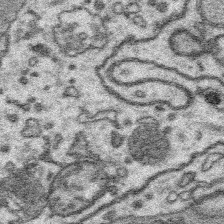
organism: Platynereis dumerilii